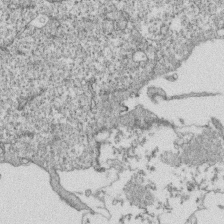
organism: Human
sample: HeLa cell HIV synapse